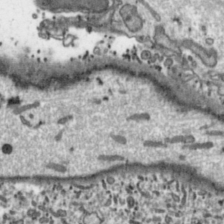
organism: Toxoplasma gondii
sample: Parasites in a vacuole inside a host cell